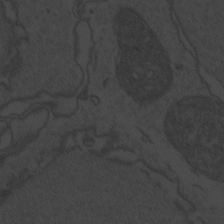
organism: Zebrafish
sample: Macrophage infected with Toxoplasma gondii